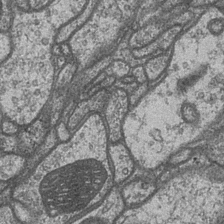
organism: Drosophila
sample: Optic medulla